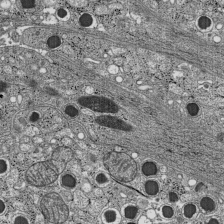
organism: C57BL Mouse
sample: Pancreatic islet